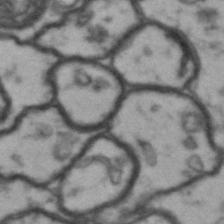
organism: Drosophila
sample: Brain